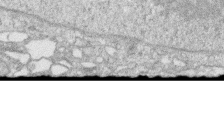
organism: Human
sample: HeLa cell HIV synapse